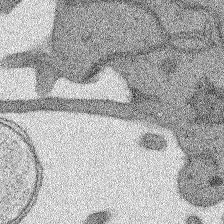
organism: Human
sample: HeLa cells